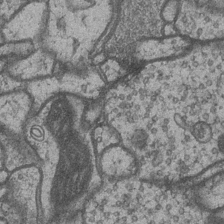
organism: Drosophila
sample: Optic medulla